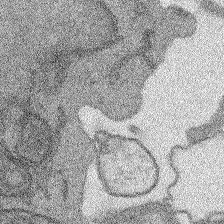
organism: Human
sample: HeLa cells